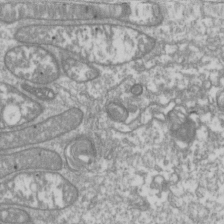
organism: Drosophila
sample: Cell division; meiosis; drosophila spermatocytes